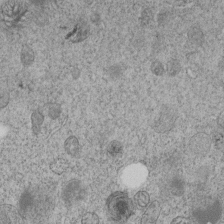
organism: C. elegans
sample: C. elegans embryo early stage